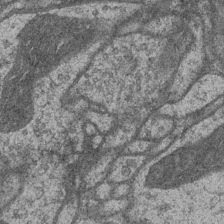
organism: Drosophila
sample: Optic medulla